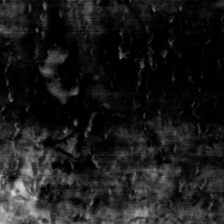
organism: Toxoplasma gondii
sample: Parasites in a vacuole inside a host cell